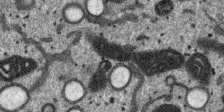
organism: Human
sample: Lung epithelial cells infected with SARS-CoV-2